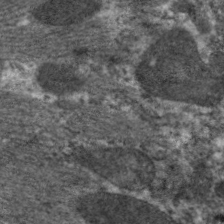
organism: C. elegans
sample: Pharynx